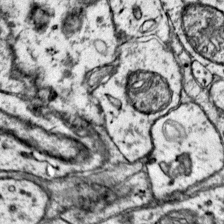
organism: Mouse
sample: Primary visual cortex